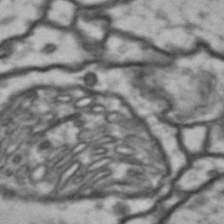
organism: Drosophila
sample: Brain